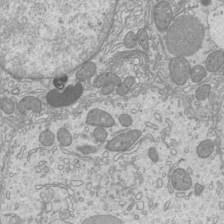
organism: Mouse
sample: Cilia; mouse epididymis